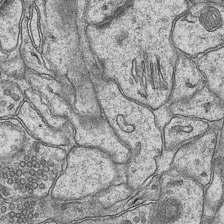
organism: Mouse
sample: CA1 Hippocampus